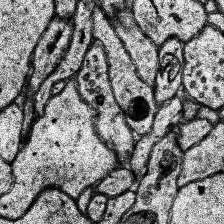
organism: Human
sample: Temporal Lobe